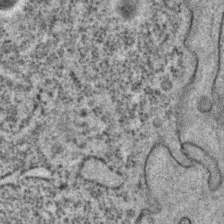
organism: C. elegans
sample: C. elegans embryo